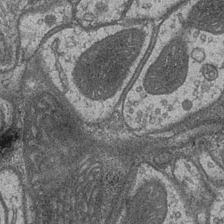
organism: Drosophila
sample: Optic medulla